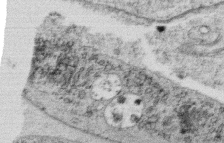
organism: C. elegans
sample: C. elegans oocyte; sperm cells